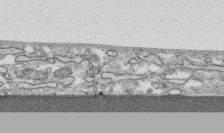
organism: Human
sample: CRL-1474